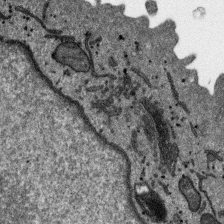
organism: Human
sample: Lung epithelial cells, uninfected (mock) control